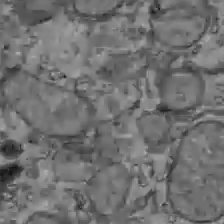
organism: C57BL Mouse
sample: Liver